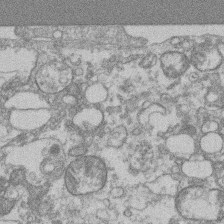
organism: Mouse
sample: T cell stromal cell synapse